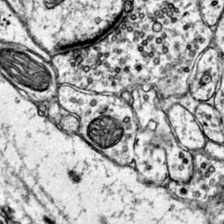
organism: Mouse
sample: Primary visual cortex